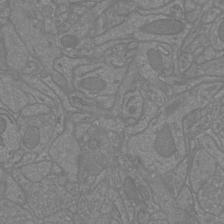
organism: Mouse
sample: Cortical neurons